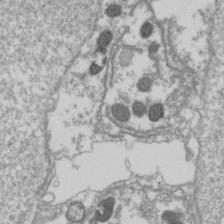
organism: Drosophila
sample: Cell division; meiosis; drosophila spermatocytes